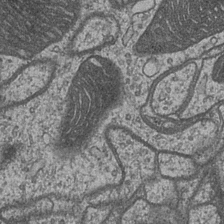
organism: Drosophila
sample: Optic medulla